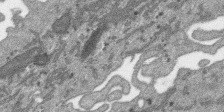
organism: Human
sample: Lung epithelial cells infected with SARS-CoV-2